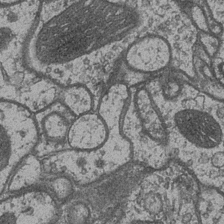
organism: Drosophila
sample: Optic medulla